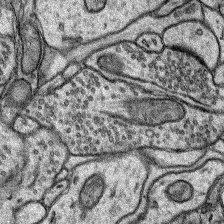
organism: Rat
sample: Hippocampus